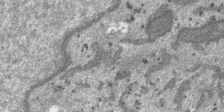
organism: Human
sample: Lung epithelial cells infected with SARS-CoV-2